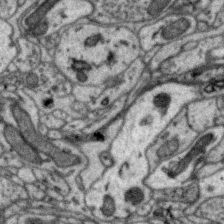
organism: Zebra finch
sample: Brain